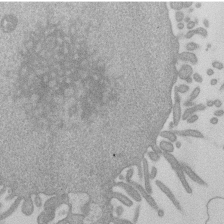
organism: Mouse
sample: Dividing mouse embryo 1 cell stage